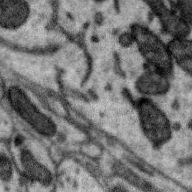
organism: Zebra finch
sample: Brain